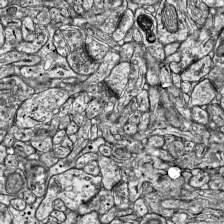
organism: Mouse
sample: Visual Cortex